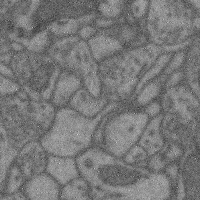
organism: Mouse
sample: Cerebral cortex